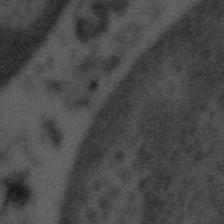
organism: Tuwongella immobilis